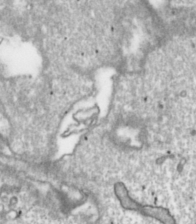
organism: Toxoplasma gondii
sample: Parasites in a vacuole inside a host cell